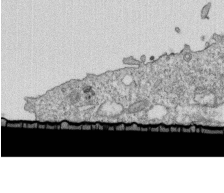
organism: Human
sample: HeLa cell HIV synapse